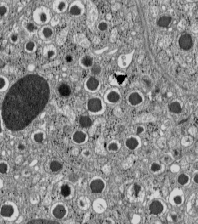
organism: C57BL Mouse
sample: Pancreatic islet